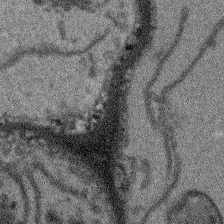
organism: Arabidopsis thaliana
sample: Root tip